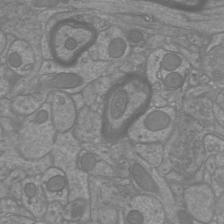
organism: Mouse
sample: Cortical neurons